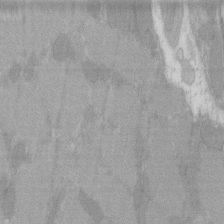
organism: C57BL Mouse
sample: Tibialis anterior muscle cell